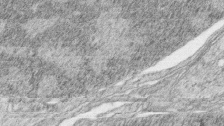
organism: Zebrafish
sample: synaptic ribbons in rod cells and cone cells